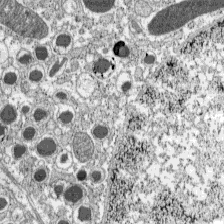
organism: C57BL Mouse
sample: Pancreatic islet